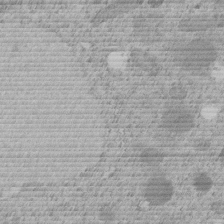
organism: C. elegans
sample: C. elegans embryo early stage